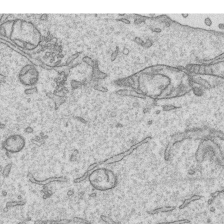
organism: Human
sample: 1205lu cells